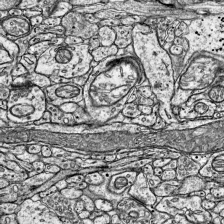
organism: Mouse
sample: Visual Cortex